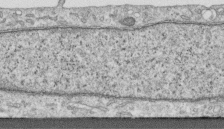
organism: Human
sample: Centriole in RPE cells